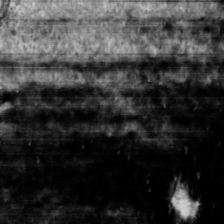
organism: Toxoplasma gondii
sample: Parasites in a vacuole inside a host cell